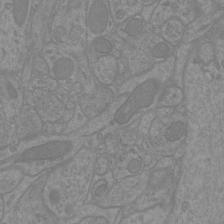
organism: Mouse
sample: Cortical neurons